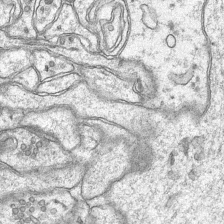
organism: Mouse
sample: CA1 Hippocampus